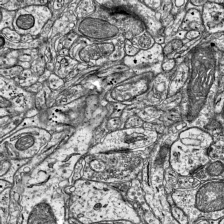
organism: Mouse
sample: Visual Cortex